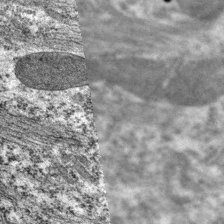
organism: C. elegans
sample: Pharynx